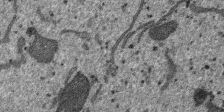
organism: Human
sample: Lung epithelial cells infected with SARS-CoV-2